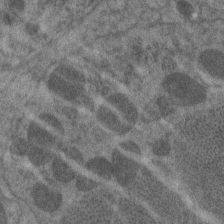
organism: C. elegans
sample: Pharynx